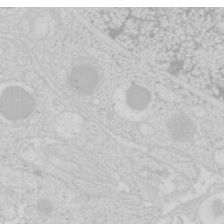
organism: Mouse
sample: Pancreas